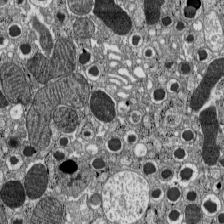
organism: C57BL Mouse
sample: Pancreatic islet